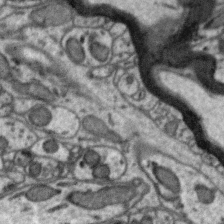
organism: Zebra finch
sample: Brain